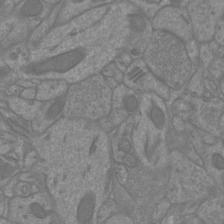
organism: Mouse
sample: Cortical neurons